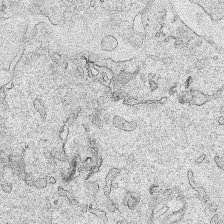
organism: Human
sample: Mitochondria in HCT116 cells